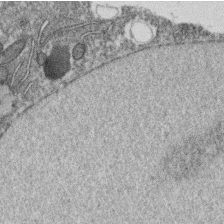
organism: C. elegans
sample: C. elegans oocyte; sperm cells